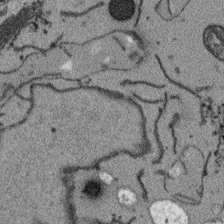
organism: Arabidopsis thaliana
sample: Root tip